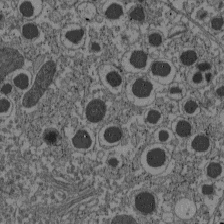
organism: C57BL Mouse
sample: Pancreatic islet